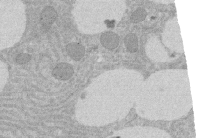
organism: Rat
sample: Salivary granule